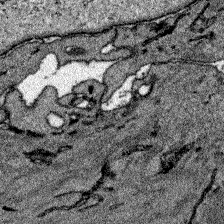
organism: Zebrafish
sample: Larval olfactory bulb